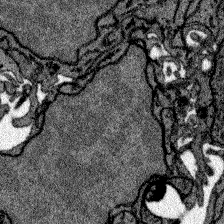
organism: Zebrafish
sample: Larval olfactory bulb